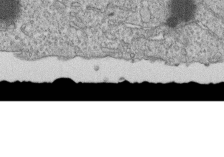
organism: Human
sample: HeLa cell HIV synapse